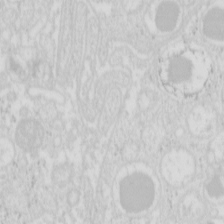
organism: Mouse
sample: Pancreas